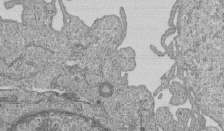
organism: Human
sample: MDA-MB-231 cells